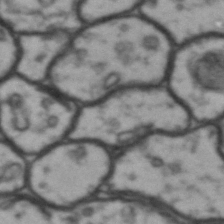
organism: Drosophila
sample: Brain